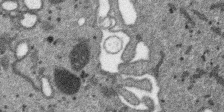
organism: Human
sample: Lung epithelial cells infected with SARS-CoV-2